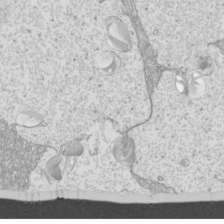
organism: Mouse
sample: Cilia; mouse epididymis